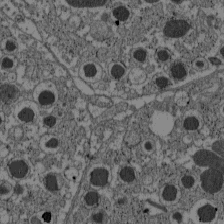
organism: C57BL Mouse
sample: Pancreatic islet